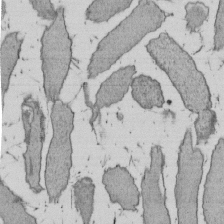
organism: E. coli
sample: Bacterial nucleoid